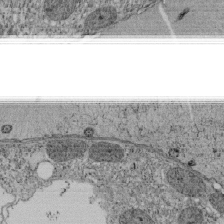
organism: Tetrahymena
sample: Cilia in tetrahymena